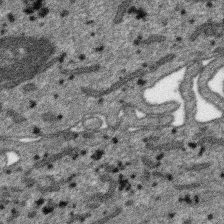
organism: Human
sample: Lung epithelial cells infected with SARS-CoV-2